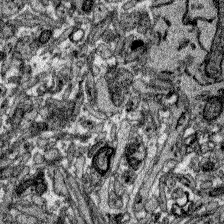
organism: Zebrafish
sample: Larval olfactory bulb